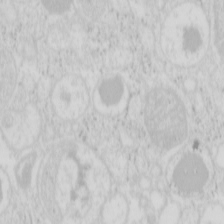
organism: Mouse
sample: Pancreas